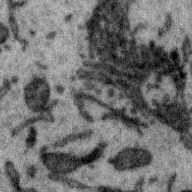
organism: Zebra finch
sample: Brain